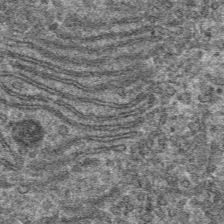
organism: Mouse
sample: Mouse hepatocytes